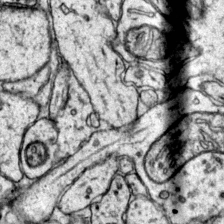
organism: Mouse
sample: Primary visual cortex